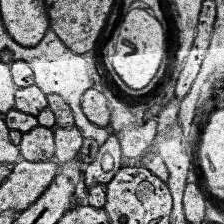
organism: Human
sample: Temporal Lobe